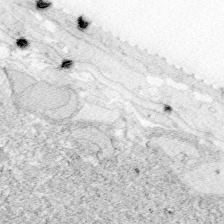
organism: Zebrafish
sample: Whole-Brain